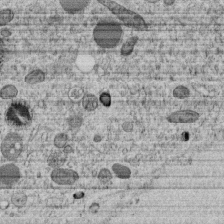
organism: C. elegans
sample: C. elegans embryo early stage